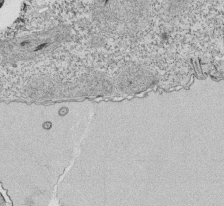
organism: Tetrahymena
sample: Cilia in tetrahymena